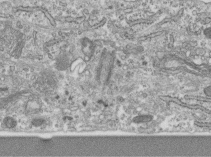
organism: Human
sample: Centriole in RPE cells